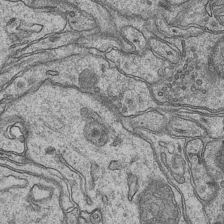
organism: Mouse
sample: CA1 Hippocampus